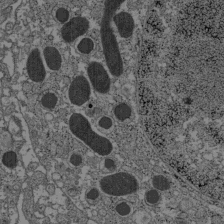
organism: C57BL Mouse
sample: Pancreatic islet